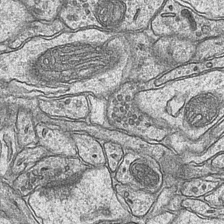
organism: Mouse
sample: CA1 Hippocampus